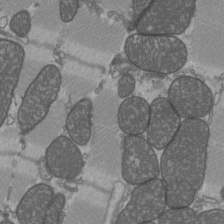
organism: C57BL Mouse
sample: Heart